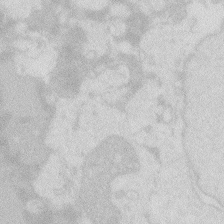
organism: Zebrafish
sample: Macrophage